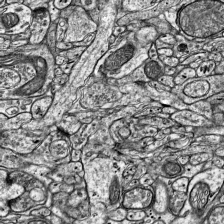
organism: Mouse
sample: Visual Cortex